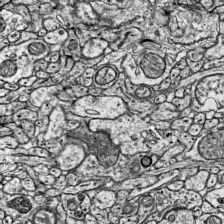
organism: Mouse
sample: Visual Cortex